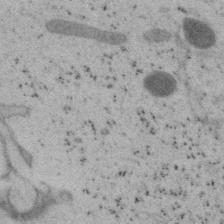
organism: Human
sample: HeLa cells